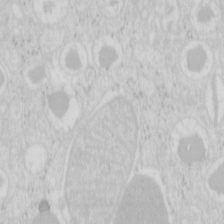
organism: Mouse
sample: Pancreas